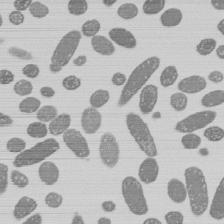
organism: E. coli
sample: Bacterial nucleoid